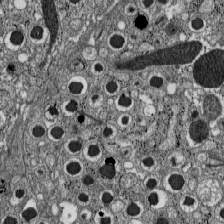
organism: C57BL Mouse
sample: Pancreatic islet